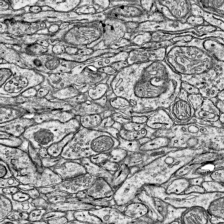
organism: Mouse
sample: Visual Cortex